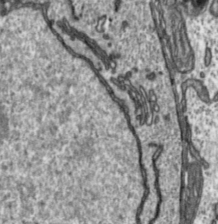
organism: Toxoplasma gondii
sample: Parasites in a vacuole inside a host cell